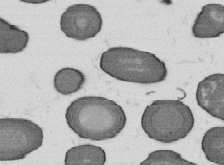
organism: B. subtilis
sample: Bacterial spore